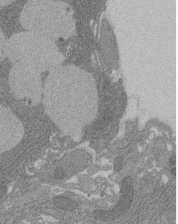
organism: Rat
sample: Salivary granule